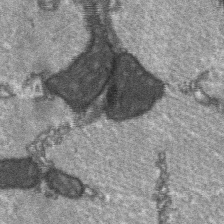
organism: C57BL Mouse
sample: Soleus